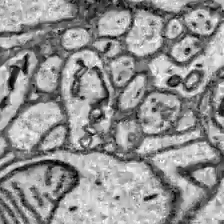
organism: Zebrafish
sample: Brain